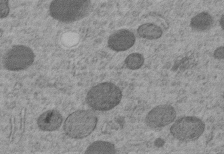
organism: C. elegans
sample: C. elegans embryo early stage